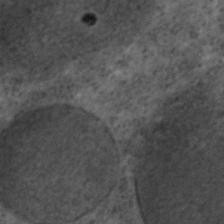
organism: C. elegans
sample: C. elegans embryo